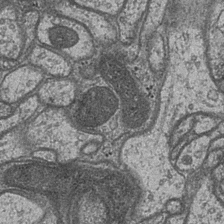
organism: Drosophila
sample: Optic medulla